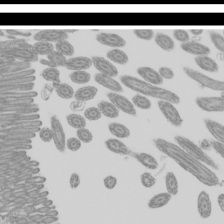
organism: Mouse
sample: Cilia; mouse epididymis